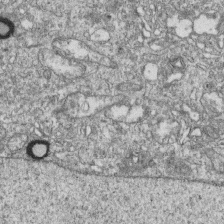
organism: Human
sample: HeLa cell HIV synapse